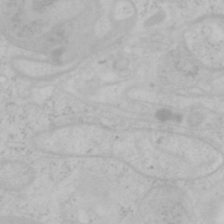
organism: Mouse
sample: OT-I killer T cells with ID8 ovarian cancer cells